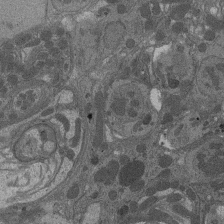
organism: Drosophila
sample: Antenna